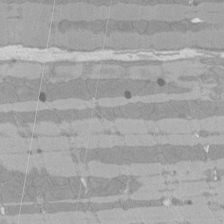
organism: Rat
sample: Left ventricle